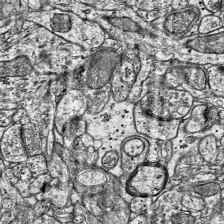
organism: Mouse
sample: Visual Cortex